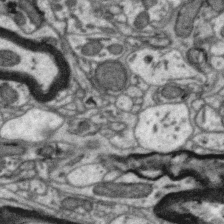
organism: Zebra finch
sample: Brain